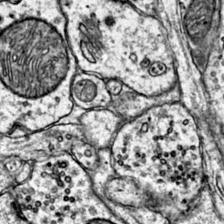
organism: Mouse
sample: Primary visual cortex